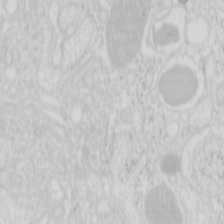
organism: Mouse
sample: Pancreas